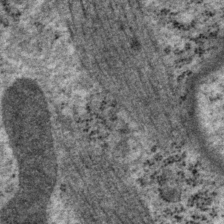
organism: P. pacificus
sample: Pharynx